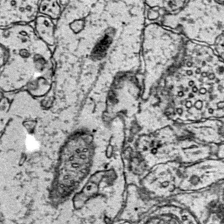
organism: Mouse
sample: Primary visual cortex